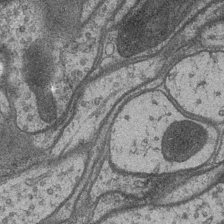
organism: Drosophila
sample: Optic medulla